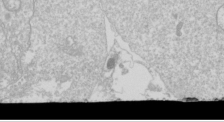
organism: Drosophila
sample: Cell division; meiosis; drosophila spermatocytes